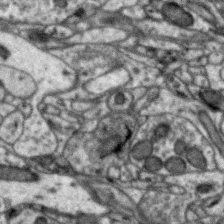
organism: Zebra finch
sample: Brain